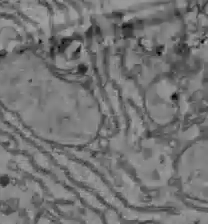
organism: C57BL Mouse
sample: Liver